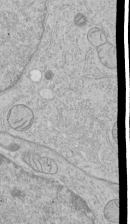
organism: Human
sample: Mitochondria in HCT116 cells